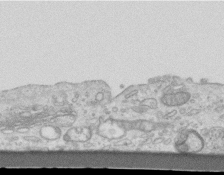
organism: Mouse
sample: Centriole in ependymal cells